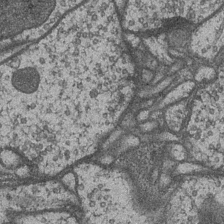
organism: Drosophila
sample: Optic medulla